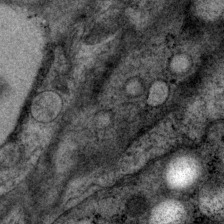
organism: P. pacificus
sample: Pharynx